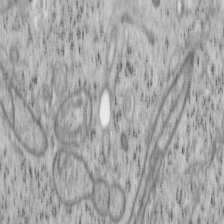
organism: Human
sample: HeLa cells